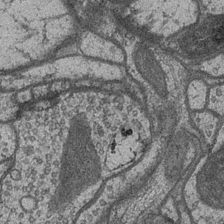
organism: Drosophila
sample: Optic medulla